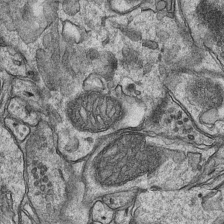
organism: Mouse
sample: CA1 Hippocampus